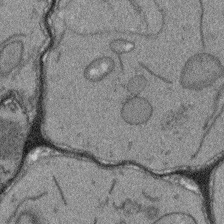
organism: Arabidopsis thaliana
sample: Root tip